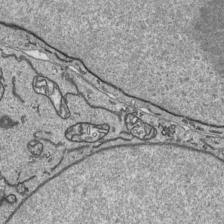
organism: Human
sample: Mitochondria in HCT116 cells